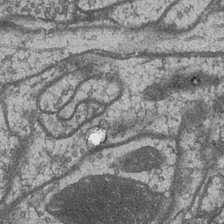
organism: Drosophila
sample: Optic medulla